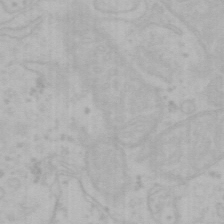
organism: Mouse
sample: Choroid plexus